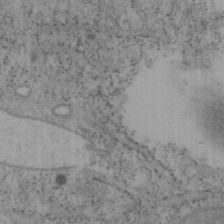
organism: Mouse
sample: OT-I killer T cells with ID8 ovarian cancer cells